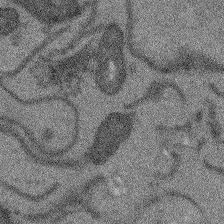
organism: Arabidopsis thaliana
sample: Root tip